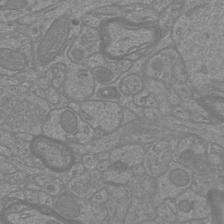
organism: Mouse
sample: Cortical neurons